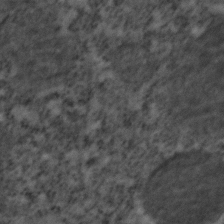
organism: C. elegans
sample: C. elegans embryo